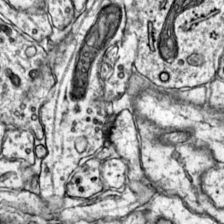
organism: Mouse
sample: Primary visual cortex